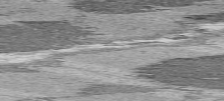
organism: C57BL Mouse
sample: Heart